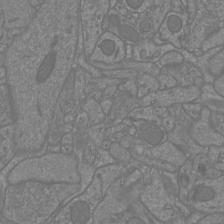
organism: Mouse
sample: Cortical neurons